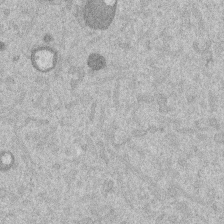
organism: Mouse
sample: Dividing mouse embryo 1 cell stage